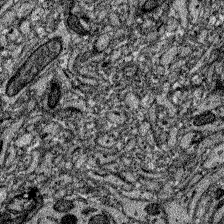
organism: Zebrafish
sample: Larval olfactory bulb